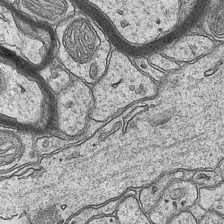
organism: Mouse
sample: CA1 Hippocampus